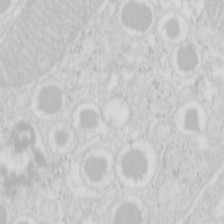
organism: Mouse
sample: Pancreas